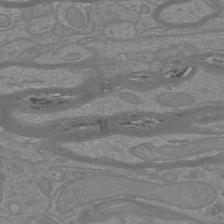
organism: Mouse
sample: Cortical neurons